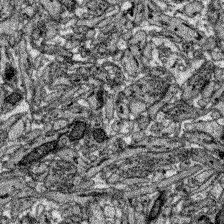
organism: Zebrafish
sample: Larval olfactory bulb